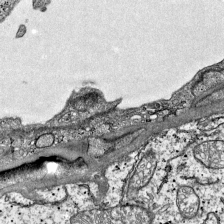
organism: Mouse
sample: Visual Cortex